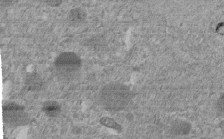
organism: C. elegans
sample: C. elegans embryo early stage